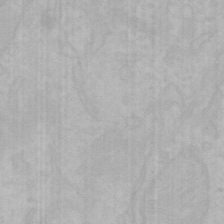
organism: Mouse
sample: Choroid plexus